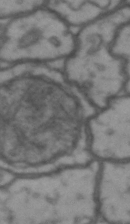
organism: Drosophila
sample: Brain